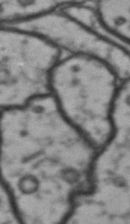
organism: Drosophila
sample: Brain